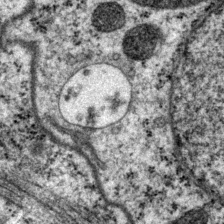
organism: P. pacificus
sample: Pharynx